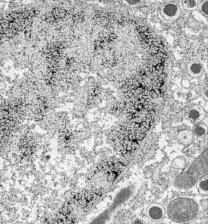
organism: C57BL Mouse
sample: Pancreatic islet